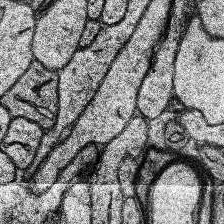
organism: Human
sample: Temporal Lobe